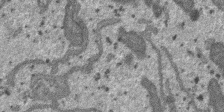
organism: Human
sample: Lung epithelial cells infected with SARS-CoV-2